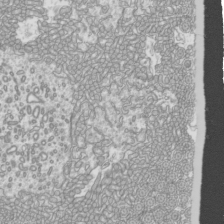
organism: Mouse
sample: Cilia; mouse epididymis